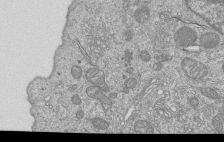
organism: Human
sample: MDA-MB-231 cells